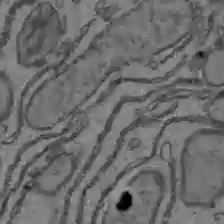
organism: C57BL Mouse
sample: Liver